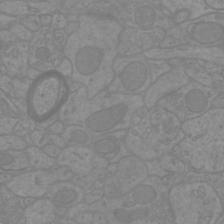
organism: Mouse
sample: Cortical neurons